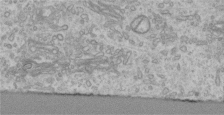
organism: Human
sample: Centriole in RPE cells